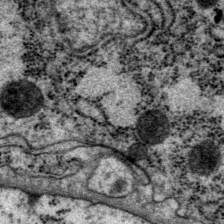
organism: P. pacificus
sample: Pharynx